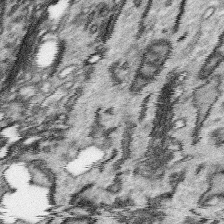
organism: Human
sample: HeLa cells